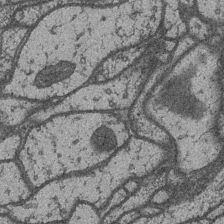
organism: Drosophila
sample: Optic medulla